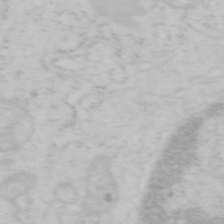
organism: Mouse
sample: OT-I killer T cells with ID8 ovarian cancer cells